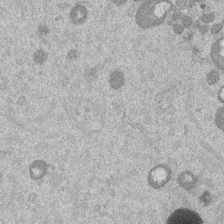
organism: Mouse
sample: Dividing mouse embryo 1 cell stage